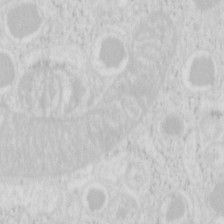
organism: Mouse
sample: Pancreas